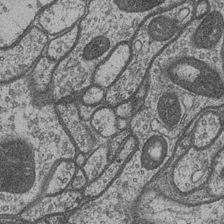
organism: Drosophila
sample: Optic medulla